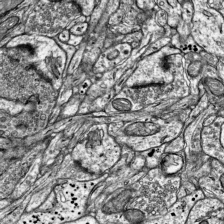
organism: Mouse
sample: Visual Cortex